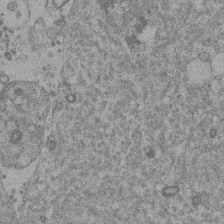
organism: Mouse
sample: Dividing mouse embryo 1 cell stage